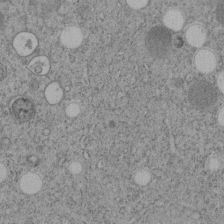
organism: C. elegans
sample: C. elegans embryo early stage